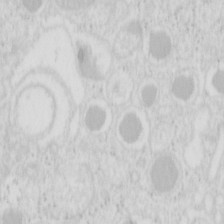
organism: Mouse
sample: Pancreas